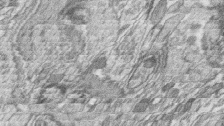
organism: Zebrafish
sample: synaptic ribbons in rod cells and cone cells